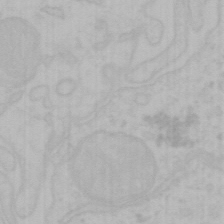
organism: Mouse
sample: Choroid plexus